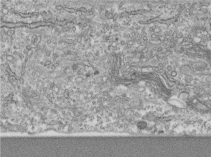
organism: Human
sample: Centriole in RPE cells